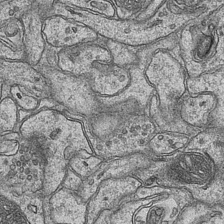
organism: Mouse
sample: CA1 Hippocampus